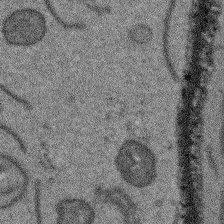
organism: Arabidopsis thaliana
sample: Root tip